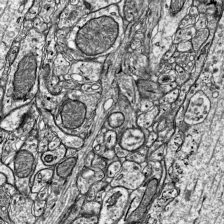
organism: Mouse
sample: Visual Cortex